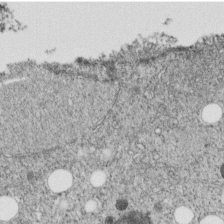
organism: C. elegans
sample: C. elegans embryo early stage